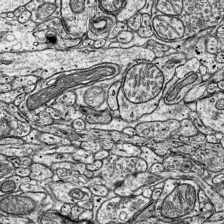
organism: Mouse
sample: Visual Cortex